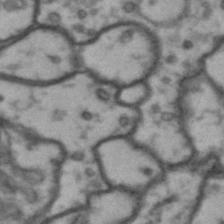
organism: Drosophila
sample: Brain